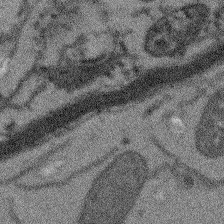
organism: Arabidopsis thaliana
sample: Root tip